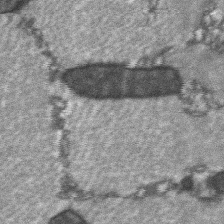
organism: C57BL Mouse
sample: Soleus